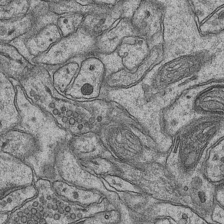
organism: Mouse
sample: CA1 Hippocampus